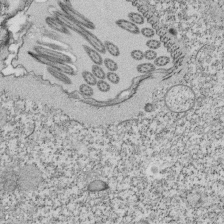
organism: Tetrahymena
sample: Cilia in tetrahymena